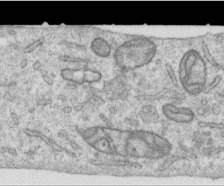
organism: Human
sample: Centriole in RPE cells